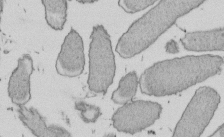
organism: E. coli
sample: Bacterial nucleoid